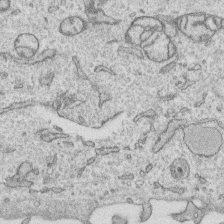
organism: Human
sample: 1205lu cells